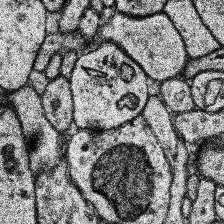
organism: Human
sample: Temporal Lobe